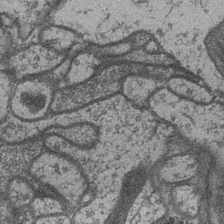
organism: Drosophila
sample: Optic medulla